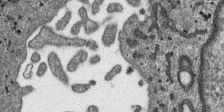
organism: Human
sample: Lung epithelial cells infected with SARS-CoV-2